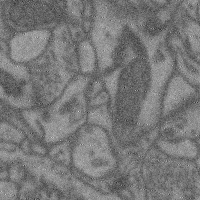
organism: Mouse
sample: Cerebral cortex